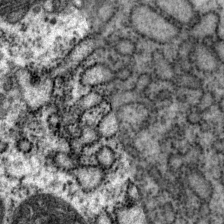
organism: P. pacificus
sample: Pharynx